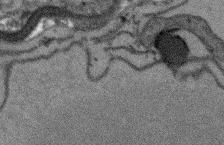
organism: Arabidopsis thaliana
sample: Root tip